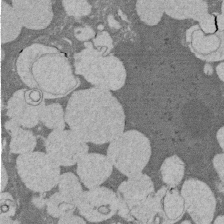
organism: Rat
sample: Salivary granule